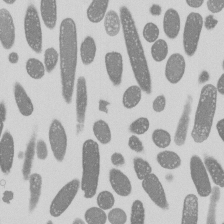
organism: E. coli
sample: Bacterial nucleoid